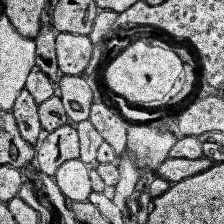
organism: Human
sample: Temporal Lobe